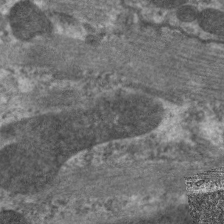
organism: C. elegans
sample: Pharynx